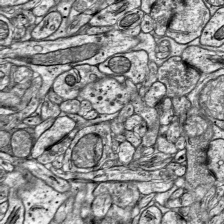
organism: Mouse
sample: Visual Cortex